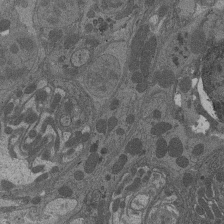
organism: Drosophila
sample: Antenna